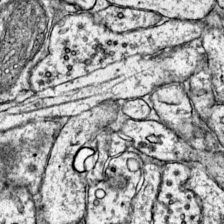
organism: Mouse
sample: Primary visual cortex